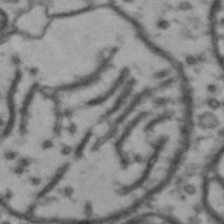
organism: Drosophila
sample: Brain